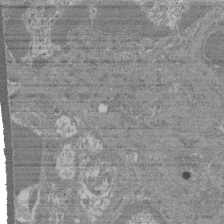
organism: Mouse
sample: Glomerulus